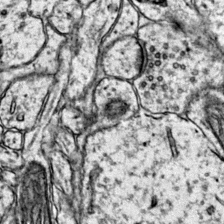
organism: Mouse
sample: Primary visual cortex